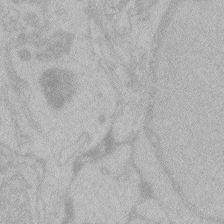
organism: Zebrafish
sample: Macrophage infected with Toxoplasma gondii